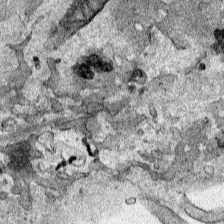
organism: Human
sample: Mitochondria in HCT116 cells